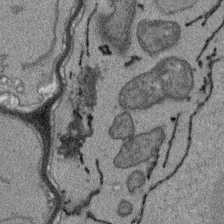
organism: Arabidopsis thaliana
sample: Root tip